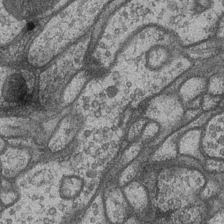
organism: Drosophila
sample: Optic medulla